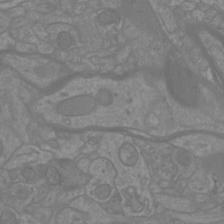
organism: Mouse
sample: Cortical neurons